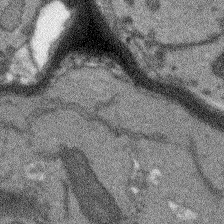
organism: Arabidopsis thaliana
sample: Root tip